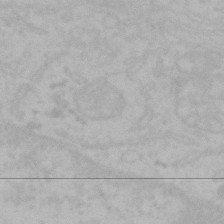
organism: Mouse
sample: Choroid plexus